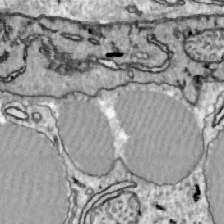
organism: Zebrafish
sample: Actinotrichia fibers